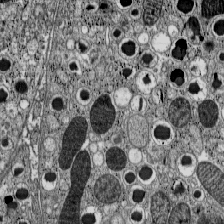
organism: C57BL Mouse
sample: Pancreatic islet